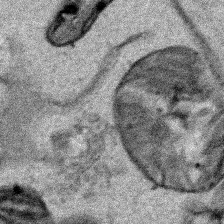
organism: Human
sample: Mitochondria in HCT116 cells